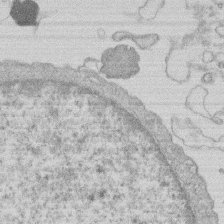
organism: Human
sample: Macrophage cells